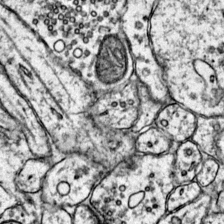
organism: Mouse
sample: Primary visual cortex